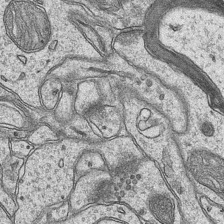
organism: Mouse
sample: CA1 Hippocampus